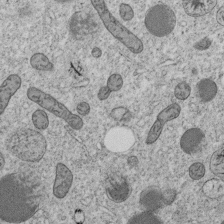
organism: C. elegans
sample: C. elegans embryo early stage